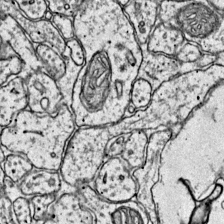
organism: Mouse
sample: Primary visual cortex